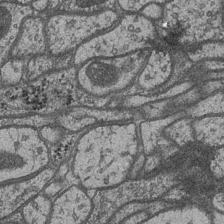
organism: Drosophila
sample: Optic medulla